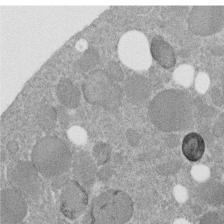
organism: C. elegans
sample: C. elegans embryo early stage